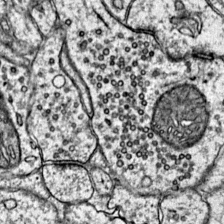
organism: Mouse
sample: Primary visual cortex